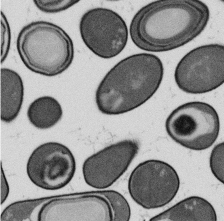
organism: B. subtilis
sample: Bacterial spore